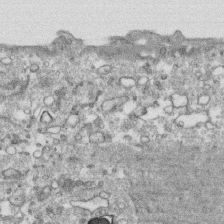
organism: Human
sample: CRL-1474